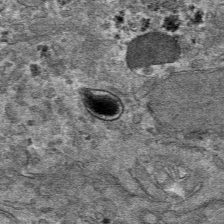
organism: Mouse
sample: Mouse hepatocytes